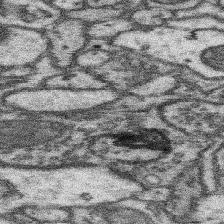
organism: Mouse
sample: Somatosensory cortex neuropil